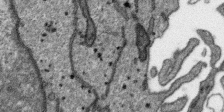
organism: Human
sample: Lung epithelial cells, uninfected (mock) control